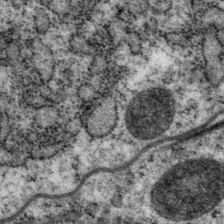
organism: P. pacificus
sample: Pharynx